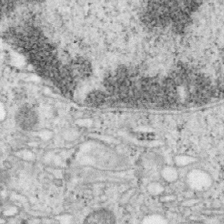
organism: Mouse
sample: OT-I killer T cells with ID8 ovarian cancer cells